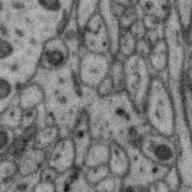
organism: Zebra finch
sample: Brain